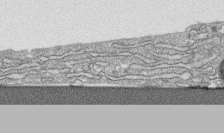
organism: Human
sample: CRL-1474